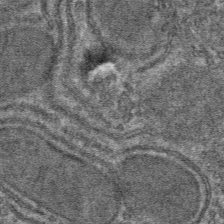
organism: Mouse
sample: Mouse hepatocytes